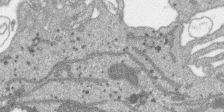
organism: Human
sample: Lung epithelial cells infected with SARS-CoV-2